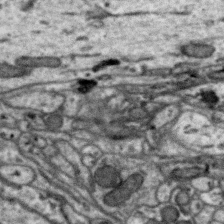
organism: Zebra finch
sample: Brain